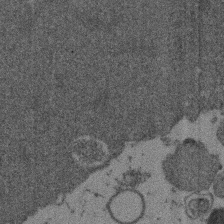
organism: Mouse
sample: Dividing mouse embryo 1 cell stage